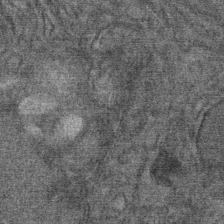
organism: Mouse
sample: Mouse Salivary gland